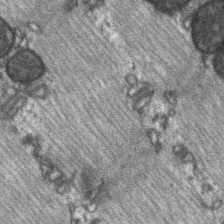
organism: C57BL Mouse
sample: Soleus